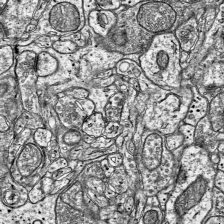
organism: Mouse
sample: Visual Cortex